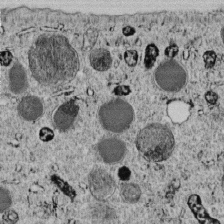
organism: C. elegans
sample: C. elegans embryo early stage